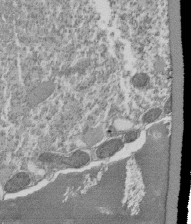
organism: Tetrahymena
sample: Cilia in tetrahymena